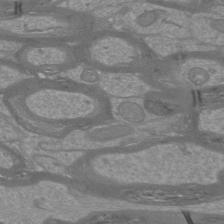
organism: Mouse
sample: Cortical neurons